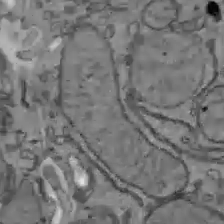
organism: C57BL Mouse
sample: Liver